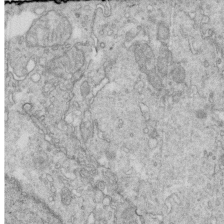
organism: Mouse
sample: Multiciliated cells